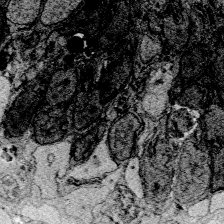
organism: Zebrafish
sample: Whole-Brain